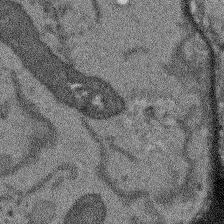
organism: Arabidopsis thaliana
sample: Root tip